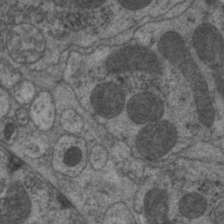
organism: C. elegans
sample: Pharynx